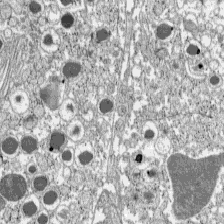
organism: C57BL Mouse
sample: Pancreatic islet